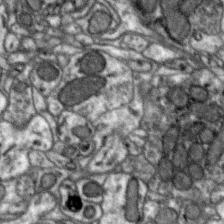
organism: Zebra finch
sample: Brain